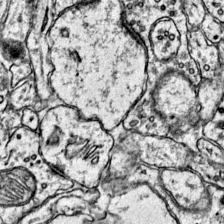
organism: Mouse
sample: Primary visual cortex